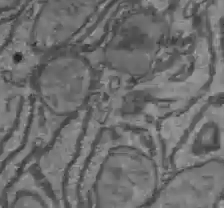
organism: C57BL Mouse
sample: Liver